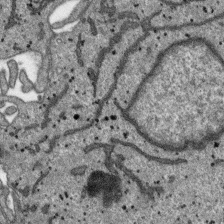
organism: Human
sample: Lung epithelial cells, uninfected (mock) control